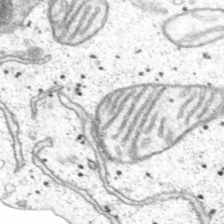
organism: Human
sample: HeLa cells